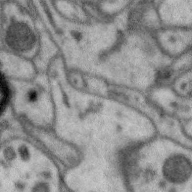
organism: Zebra finch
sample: Brain